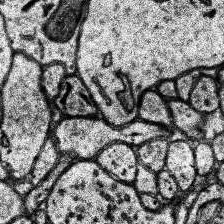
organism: Human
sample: Temporal Lobe